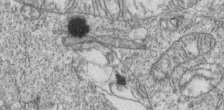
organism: Human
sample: HeLa cell HIV synapse